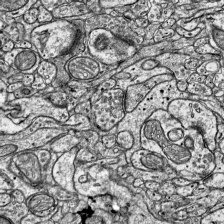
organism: Mouse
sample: Visual Cortex